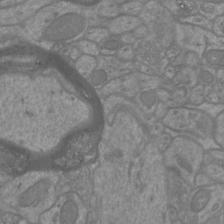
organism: Mouse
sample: Cortical neurons